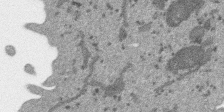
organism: Human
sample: Lung epithelial cells infected with SARS-CoV-2